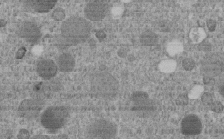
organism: C. elegans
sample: C. elegans embryo early stage